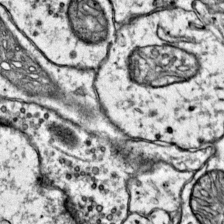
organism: Mouse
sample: Primary visual cortex